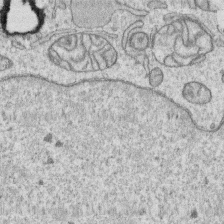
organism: Human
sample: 1205lu cells